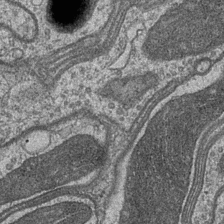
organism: Drosophila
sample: Optic medulla